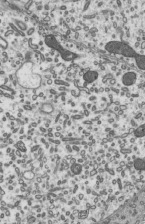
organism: Mouse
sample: Mouse epididymis efferent ductule cilia